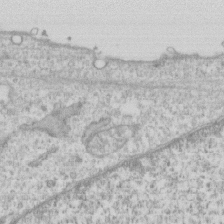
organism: Human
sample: CRL-1474